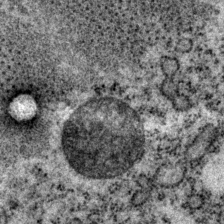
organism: P. pacificus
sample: Pharynx